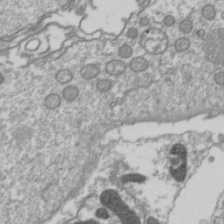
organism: Drosophila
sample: Cell division; meiosis; drosophila spermatocytes